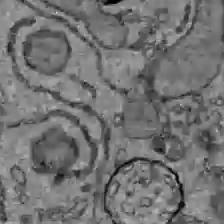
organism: C57BL Mouse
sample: Liver